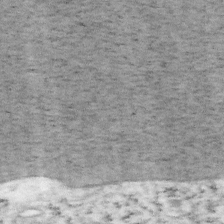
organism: Mouse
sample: OT-I killer T cells with ID8 ovarian cancer cells